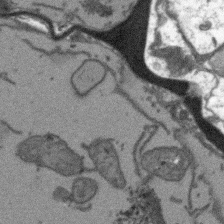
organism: Arabidopsis thaliana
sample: Root tip